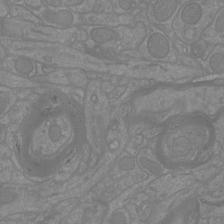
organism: Mouse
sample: Cortical neurons